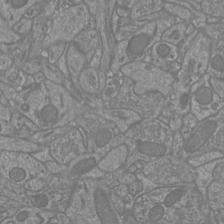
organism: Mouse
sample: Cortical neurons